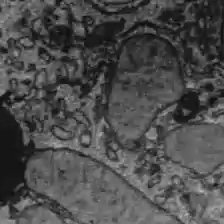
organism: C57BL Mouse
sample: Liver